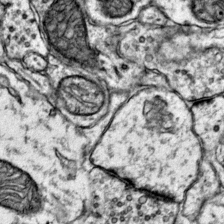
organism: Mouse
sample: Primary visual cortex